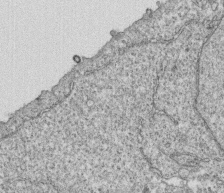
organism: Human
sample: HeLa cell HIV synapse